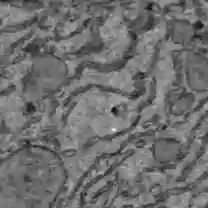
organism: C57BL Mouse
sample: Liver